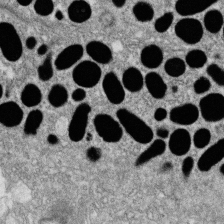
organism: Zebrafish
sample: Cilia; retinal pigment epithelium